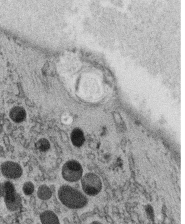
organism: C. elegans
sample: C. elegans oocyte; sperm cells